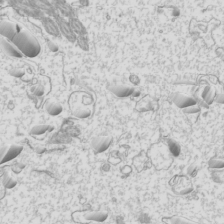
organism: Mouse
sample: Cilia; mouse epididymis